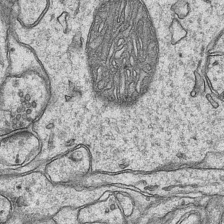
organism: Mouse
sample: CA1 Hippocampus